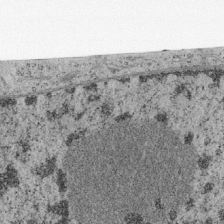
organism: Human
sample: HeLa cells